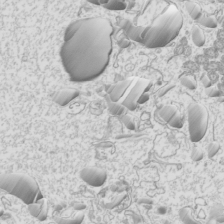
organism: Mouse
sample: Cilia; mouse epididymis